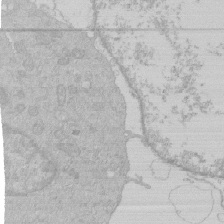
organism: Human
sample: Macrophage cells